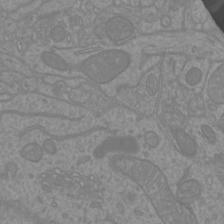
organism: Mouse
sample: Cortical neurons